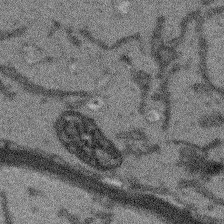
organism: Arabidopsis thaliana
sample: Root tip